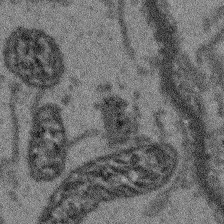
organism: Arabidopsis thaliana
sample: Root tip